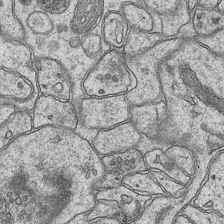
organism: Mouse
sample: CA1 Hippocampus